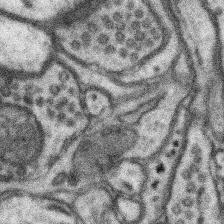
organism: Mouse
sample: Somatosensory cortex neuropil